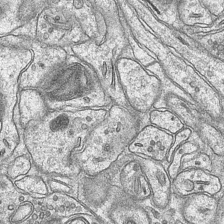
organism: Mouse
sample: CA1 Hippocampus